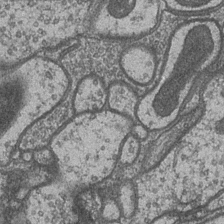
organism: Drosophila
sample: Optic medulla